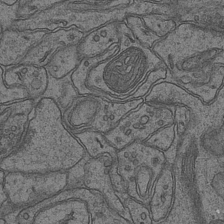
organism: Mouse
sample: CA1 Hippocampus